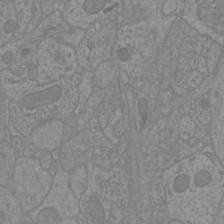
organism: Mouse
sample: Cortical neurons